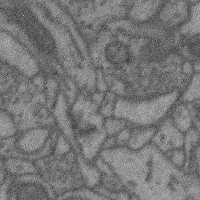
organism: Mouse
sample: Cerebral cortex